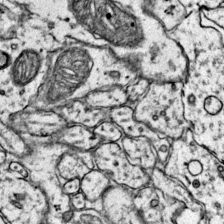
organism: Mouse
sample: Primary visual cortex